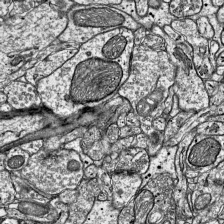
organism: Mouse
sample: Visual Cortex